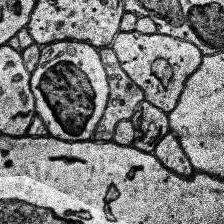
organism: Human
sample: Temporal Lobe